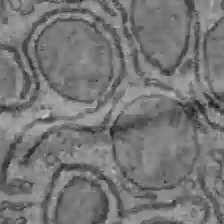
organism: C57BL Mouse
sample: Liver